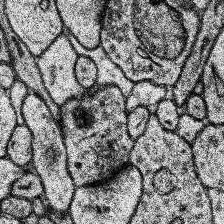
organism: Human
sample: Temporal Lobe